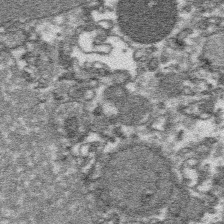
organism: Platynereis dumerilii